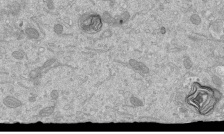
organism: Mouse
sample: ED-1 cell nuclei; centrioles